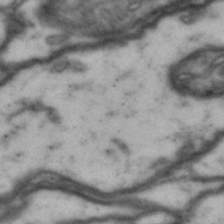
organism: Drosophila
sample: Brain